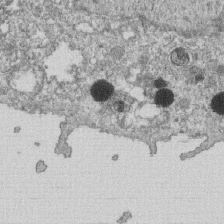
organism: Human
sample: HeLa cell HIV synapse